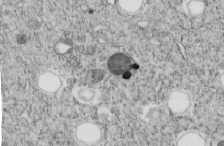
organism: C. elegans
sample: C. elegans embryo early stage